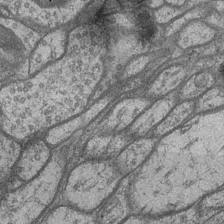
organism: Drosophila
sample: Optic medulla